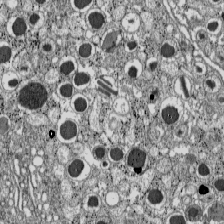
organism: C57BL Mouse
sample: Pancreatic islet